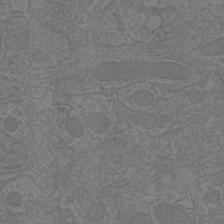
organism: Mouse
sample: Cortical neurons